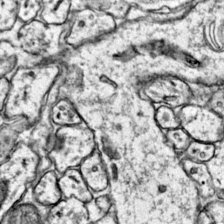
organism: Mouse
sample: Primary visual cortex